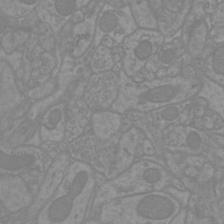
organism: Mouse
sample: Cortical neurons